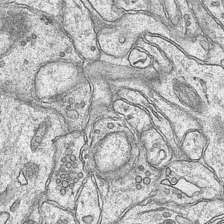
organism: Mouse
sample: CA1 Hippocampus